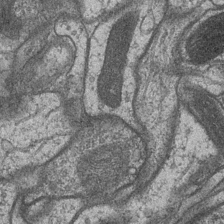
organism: Drosophila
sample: Optic medulla